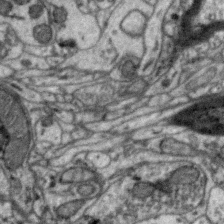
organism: Zebra finch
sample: Brain